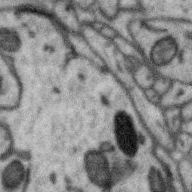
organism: Zebra finch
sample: Brain